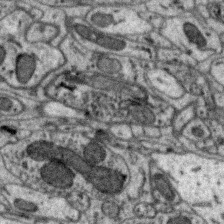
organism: Zebra finch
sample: Brain